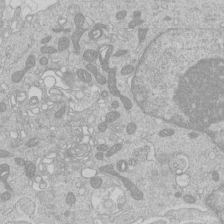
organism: Human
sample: Macrophage cells